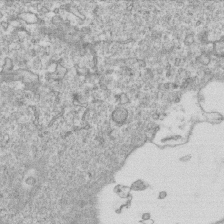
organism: Mouse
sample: Activated OT-1 CD8+ T cells